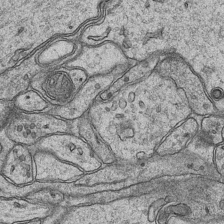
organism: Mouse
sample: CA1 Hippocampus